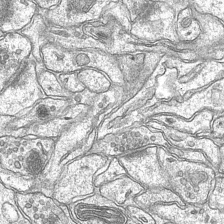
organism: Mouse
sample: CA1 Hippocampus